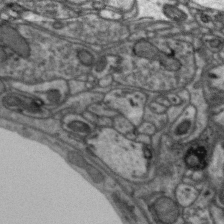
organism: Zebra finch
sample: Brain